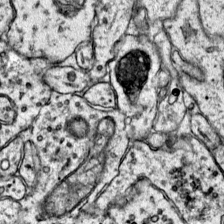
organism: Mouse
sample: Primary visual cortex